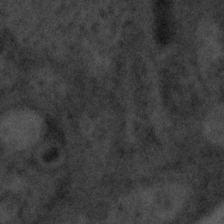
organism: Tuwongella immobilis